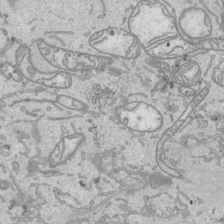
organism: Human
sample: Mitochondria in HCT116 cells